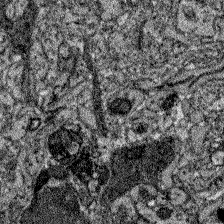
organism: Zebrafish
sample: Larval olfactory bulb